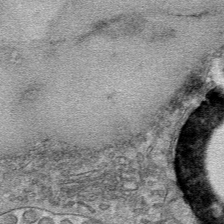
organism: Mouse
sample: Mouse hepatocytes